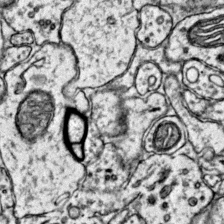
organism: Mouse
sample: Primary visual cortex